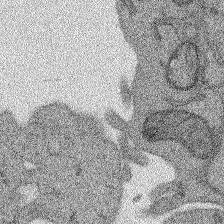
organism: Human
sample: HeLa cells